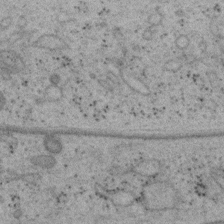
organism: Human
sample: HeLa cells